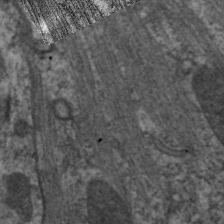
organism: C. elegans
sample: Pharynx